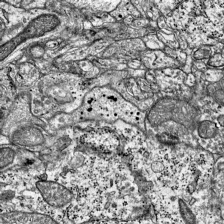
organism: Mouse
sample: Visual Cortex